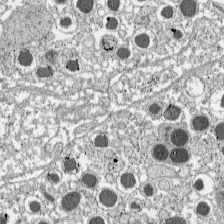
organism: C57BL Mouse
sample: Pancreatic islet